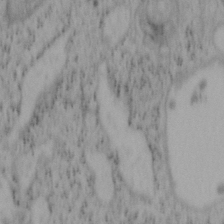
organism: Mouse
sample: OT-I killer T cells with ID8 ovarian cancer cells